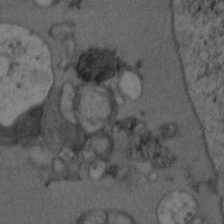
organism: Human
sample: HeLa cells